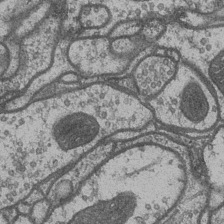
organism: Drosophila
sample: Optic medulla